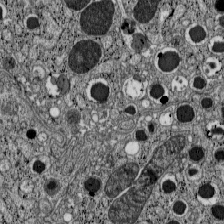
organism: C57BL Mouse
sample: Pancreatic islet